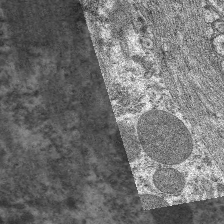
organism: C. elegans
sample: Pharynx